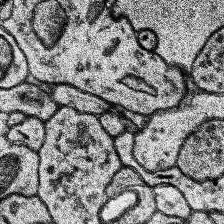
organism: Human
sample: Temporal Lobe